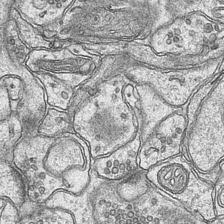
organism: Mouse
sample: CA1 Hippocampus